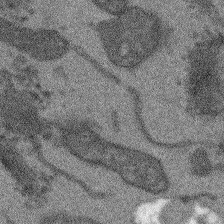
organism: Arabidopsis thaliana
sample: Root tip